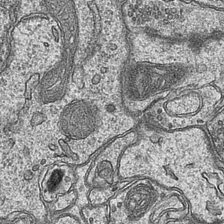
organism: Mouse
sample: CA1 Hippocampus